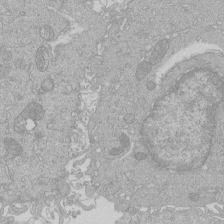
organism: Human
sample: Macrophage cells